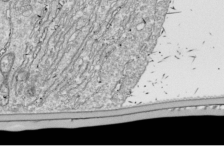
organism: Drosophila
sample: Cell division; meiosis; drosophila spermatocytes